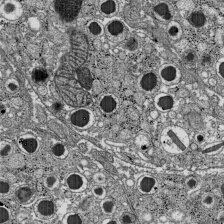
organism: C57BL Mouse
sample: Pancreatic islet